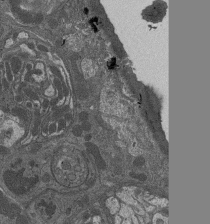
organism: Drosophila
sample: Antenna